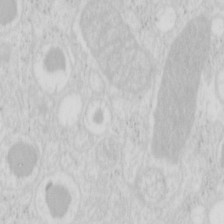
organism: Mouse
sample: Pancreas